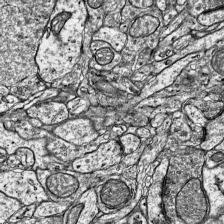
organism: Mouse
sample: Visual Cortex